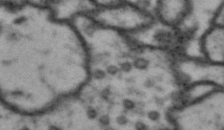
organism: Drosophila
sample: Brain